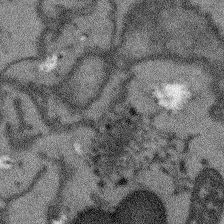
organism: Arabidopsis thaliana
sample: Root tip